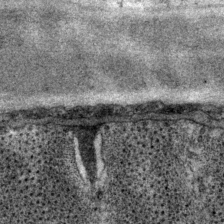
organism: P. pacificus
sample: Pharynx